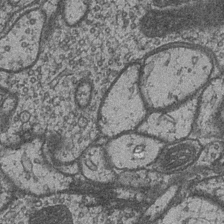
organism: Drosophila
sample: Optic medulla